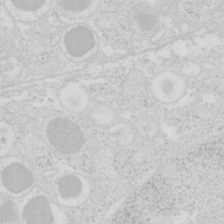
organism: Mouse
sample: Pancreas